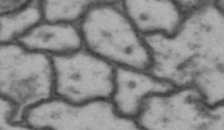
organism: Drosophila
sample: Brain